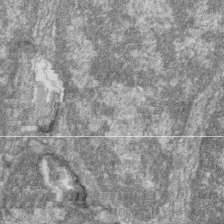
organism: Zebrafish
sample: Cilia; retinal pigment epithelium